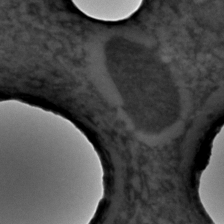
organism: C. elegans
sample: C. elegans embryo